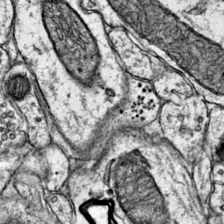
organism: Mouse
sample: Primary visual cortex